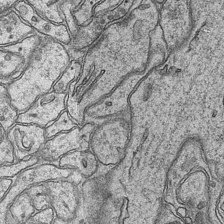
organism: Mouse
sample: CA1 Hippocampus